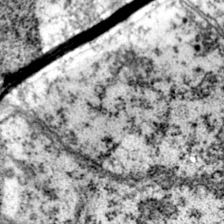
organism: Mouse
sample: Primary visual cortex